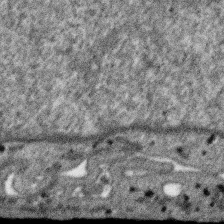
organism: Human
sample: Lung epithelial cells infected with SARS-CoV-2